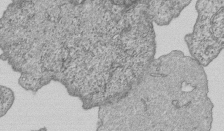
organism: Human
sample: MDA-MB-231 cells